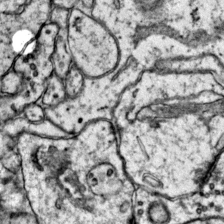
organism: Mouse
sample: Primary visual cortex